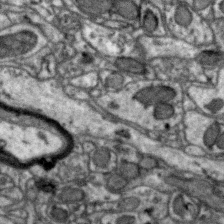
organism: Zebra finch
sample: Brain